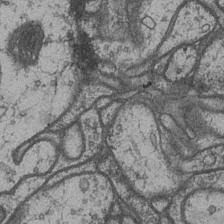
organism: Drosophila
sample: Optic medulla